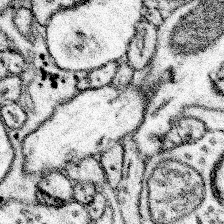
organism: Mouse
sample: Somatosensory cortex neuropil